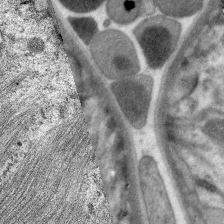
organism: C. elegans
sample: Pharynx